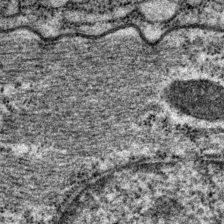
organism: P. pacificus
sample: Pharynx